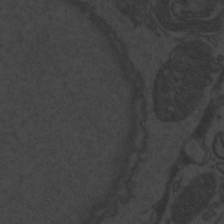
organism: Zebrafish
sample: Macrophage infected with Toxoplasma gondii